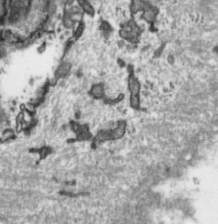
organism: Toxoplasma gondii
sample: Parasites in a vacuole inside a host cell